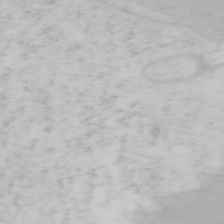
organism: Mouse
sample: OT-I killer T cells with ID8 ovarian cancer cells